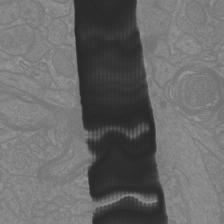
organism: Mouse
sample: Cortical neurons